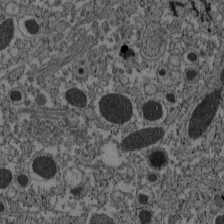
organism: C57BL Mouse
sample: Pancreatic islet